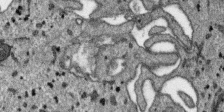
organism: Human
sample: Lung epithelial cells, uninfected (mock) control